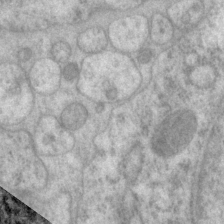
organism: P. pacificus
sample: Pharynx